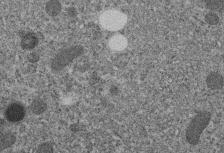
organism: C. elegans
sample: C. elegans embryo early stage